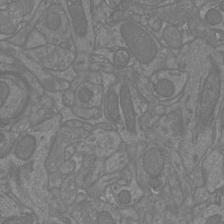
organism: Mouse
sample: Cortical neurons